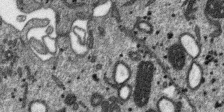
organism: Human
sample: Lung epithelial cells infected with SARS-CoV-2